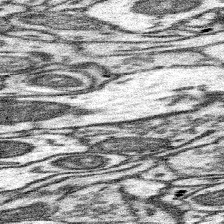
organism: Mouse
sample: Somatosensory cortex neuropil